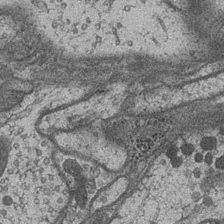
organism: Drosophila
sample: Optic medulla